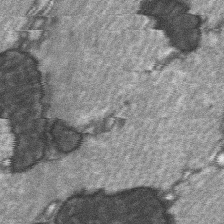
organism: C57BL Mouse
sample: Soleus